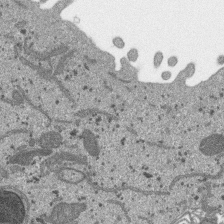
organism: Human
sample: Lung epithelial cells infected with SARS-CoV-2